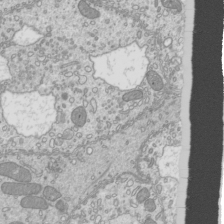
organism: Mouse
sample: Cilia; mouse epididymis